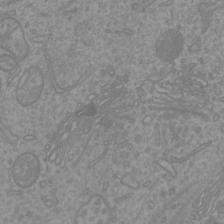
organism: Mouse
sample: Cortical neurons